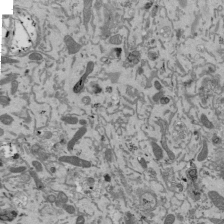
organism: Mouse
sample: ED-1 cell nuclei; centrioles